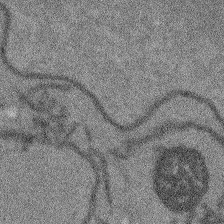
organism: Arabidopsis thaliana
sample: Root tip